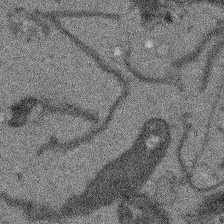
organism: Arabidopsis thaliana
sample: Root tip